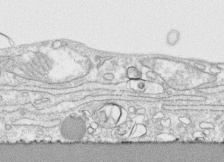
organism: Human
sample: CRL-1474